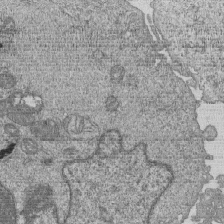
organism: Human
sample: MDA-MB-231 cells